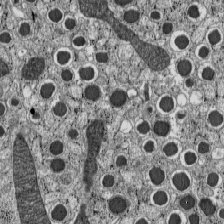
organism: C57BL Mouse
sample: Pancreatic islet